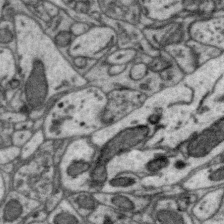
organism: Zebra finch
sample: Brain